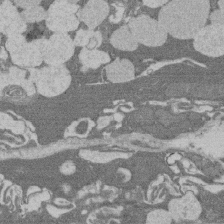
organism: Rat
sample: Salivary granule